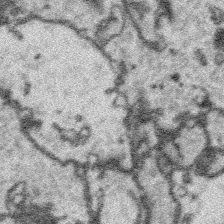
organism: Platynereis dumerilii